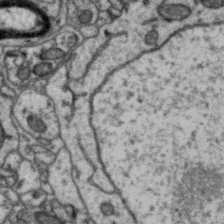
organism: Zebra finch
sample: Brain